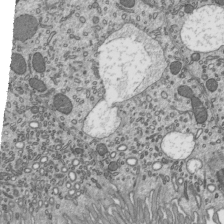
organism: Mouse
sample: Mouse epididymis efferent ductule cilia